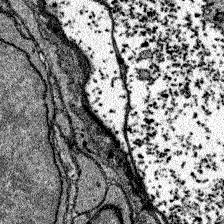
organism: Zebrafish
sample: Larval olfactory bulb